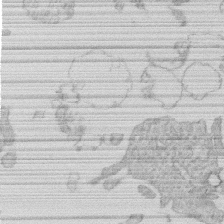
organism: Human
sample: Macrophage cells